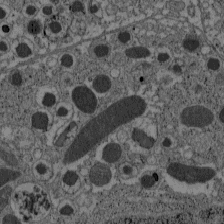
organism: C57BL Mouse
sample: Pancreatic islet